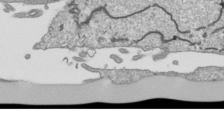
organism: Human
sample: Mitochondria in HCT116 cells